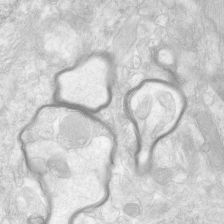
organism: Human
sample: Neocortex